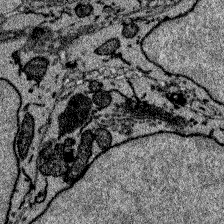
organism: Zebrafish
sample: Larval olfactory bulb